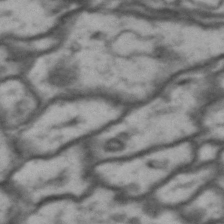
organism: Drosophila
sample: Brain